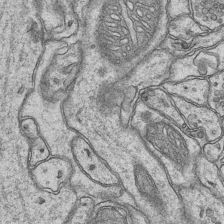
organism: Mouse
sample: CA1 Hippocampus